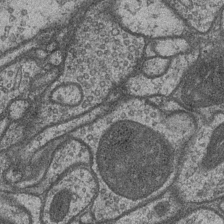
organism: Drosophila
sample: Optic medulla